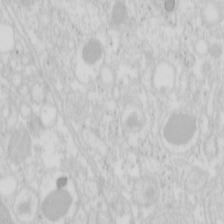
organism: Mouse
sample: Pancreas